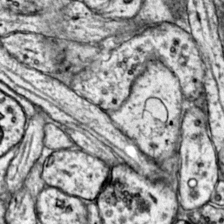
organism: Mouse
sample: Primary visual cortex